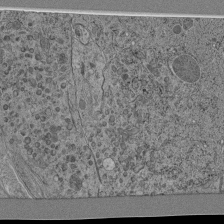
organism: C. elegans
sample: C. elegans pharynx